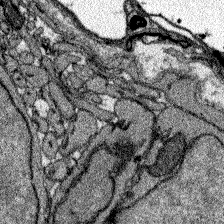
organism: Zebrafish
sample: Larval olfactory bulb